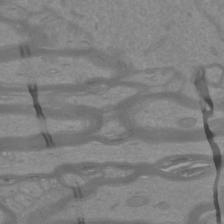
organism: Mouse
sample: Cortical neurons